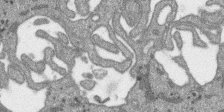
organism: Human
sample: Lung epithelial cells infected with SARS-CoV-2